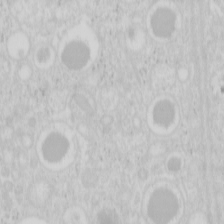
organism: Mouse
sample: Pancreas